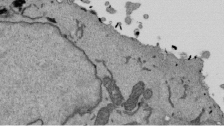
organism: Mouse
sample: ED-1 cell nuclei; centrioles